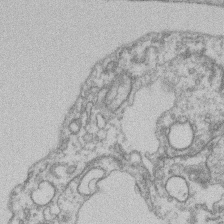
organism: Mouse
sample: T cell stromal cell synapse